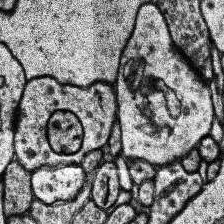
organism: Human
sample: Temporal Lobe